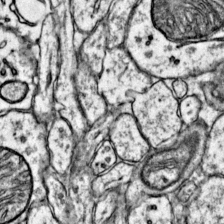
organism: Mouse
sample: Primary visual cortex